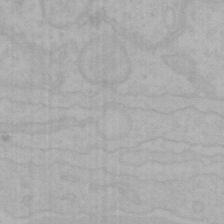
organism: Mouse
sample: Choroid plexus